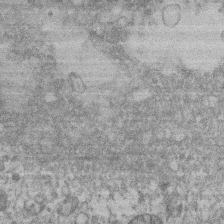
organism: Mouse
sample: T cell stromal cell synapse